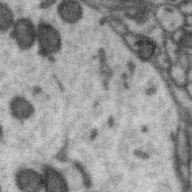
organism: Zebra finch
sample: Brain